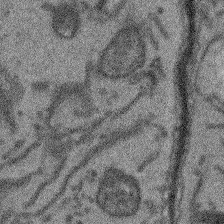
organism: Arabidopsis thaliana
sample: Root tip